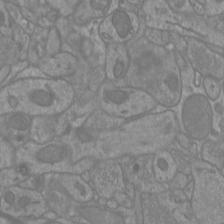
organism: Mouse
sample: Cortical neurons